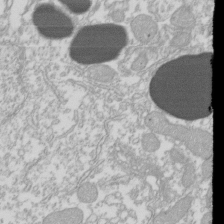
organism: Xenopus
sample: Cilia; centrioles in frog embryo cells